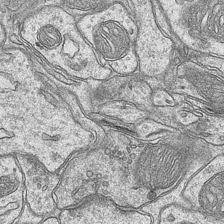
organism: Mouse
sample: CA1 Hippocampus